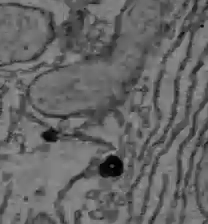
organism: C57BL Mouse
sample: Liver